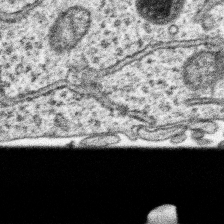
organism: Human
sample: HeLa cells